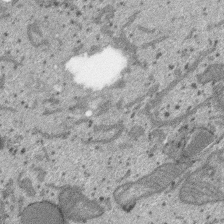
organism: Human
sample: Lung epithelial cells infected with SARS-CoV-2